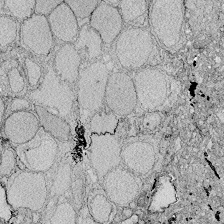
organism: Zebrafish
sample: Whole-Brain